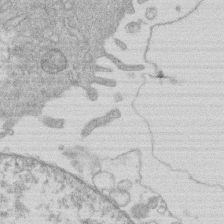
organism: Human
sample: Macrophage cells